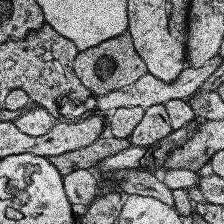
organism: Human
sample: Temporal Lobe